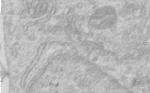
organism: Human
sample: Centriole in RPE cells